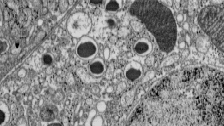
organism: C57BL Mouse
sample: Pancreatic islet